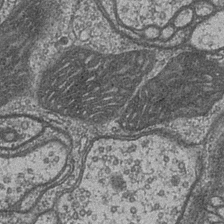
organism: Drosophila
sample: Optic medulla